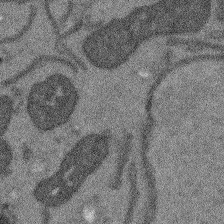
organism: Arabidopsis thaliana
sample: Root tip